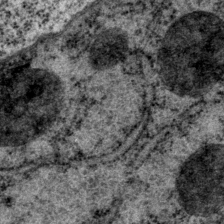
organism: P. pacificus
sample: Pharynx